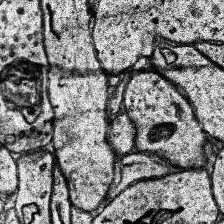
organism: Human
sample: Temporal Lobe